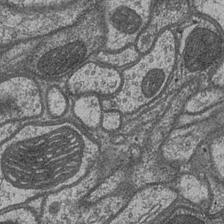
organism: Drosophila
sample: Optic medulla